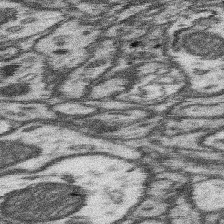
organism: Mouse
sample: Somatosensory cortex neuropil